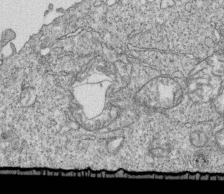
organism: Human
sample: HeLa cell HIV synapse